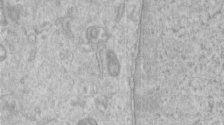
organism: Human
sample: Centriole in RPE cells